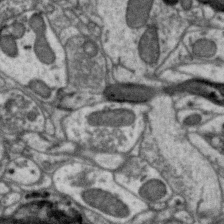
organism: Zebra finch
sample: Brain